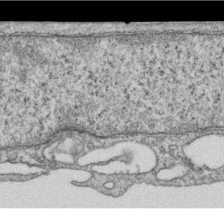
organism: Human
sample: Centriole in RPE cells